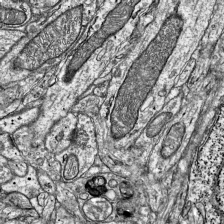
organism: Mouse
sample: Visual Cortex